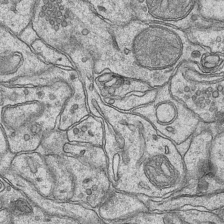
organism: Mouse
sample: CA1 Hippocampus